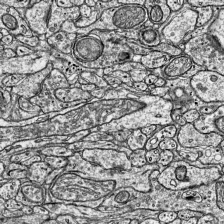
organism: Mouse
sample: Visual Cortex